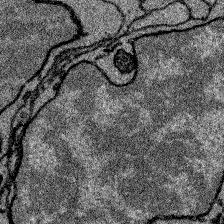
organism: Zebrafish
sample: Larval olfactory bulb